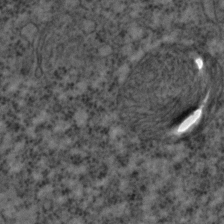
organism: C. elegans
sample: C. elegans embryo